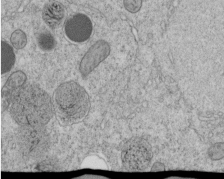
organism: C. elegans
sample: C. elegans embryo early stage